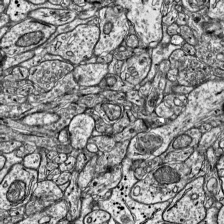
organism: Mouse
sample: Visual Cortex